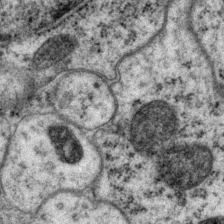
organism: P. pacificus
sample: Pharynx